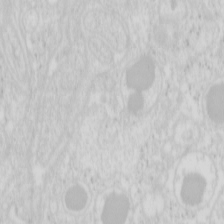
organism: Mouse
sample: Pancreas